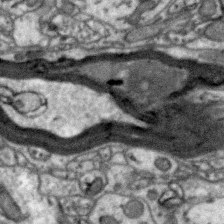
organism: Zebra finch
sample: Brain